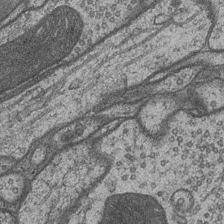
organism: Drosophila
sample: Optic medulla